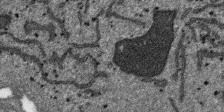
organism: Human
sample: Lung epithelial cells infected with SARS-CoV-2